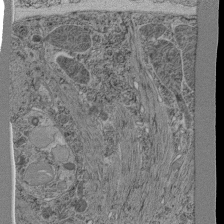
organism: C. elegans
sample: C. elegans pharynx